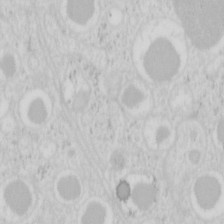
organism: Mouse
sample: Pancreas